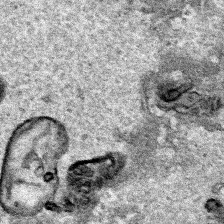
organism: Human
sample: Mitochondria in HCT116 cells